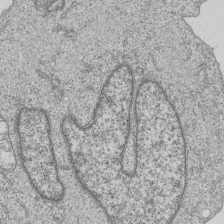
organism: Human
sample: MDA-MB-231 cells